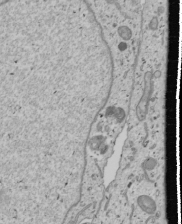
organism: Human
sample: Mitochondria in U2OS cells